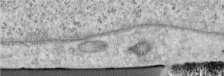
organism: Human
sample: Centriole in RPE cells